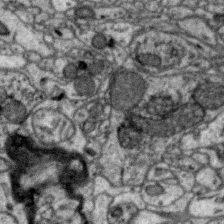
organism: Zebra finch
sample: Brain